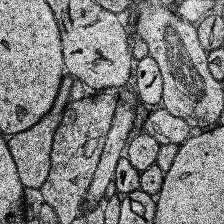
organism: Human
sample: Temporal Lobe